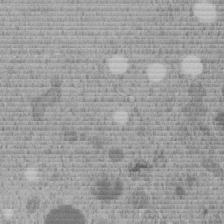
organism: C. elegans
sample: C. elegans embryo early stage